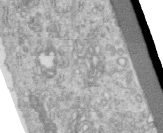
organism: Human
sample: Centriole in RPE cells